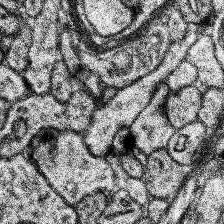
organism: Human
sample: Temporal Lobe